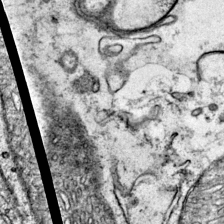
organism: Mouse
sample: Primary visual cortex